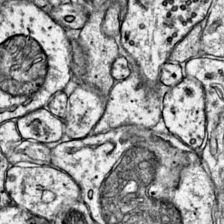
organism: Mouse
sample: Primary visual cortex